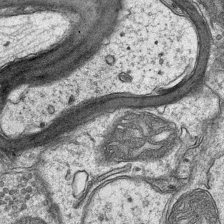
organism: Mouse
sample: CA1 Hippocampus